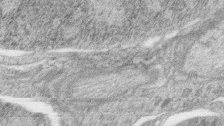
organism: Zebrafish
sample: synaptic ribbons in rod cells and cone cells